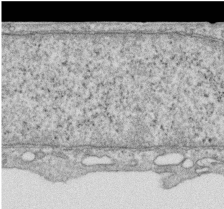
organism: Human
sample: Centriole in RPE cells